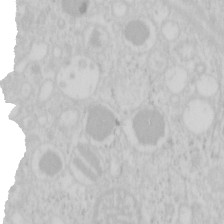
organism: Mouse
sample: Pancreas